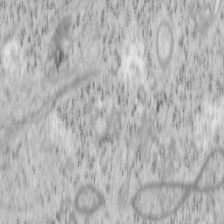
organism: Human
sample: HeLa cells